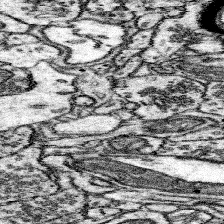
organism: Mouse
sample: Somatosensory cortex neuropil